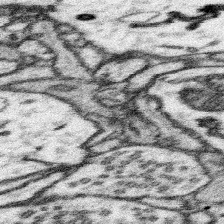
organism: Mouse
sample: Somatosensory cortex neuropil